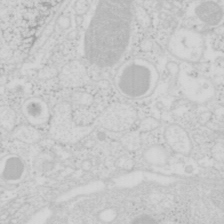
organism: Mouse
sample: Pancreas